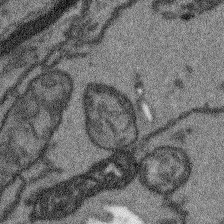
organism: Arabidopsis thaliana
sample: Root tip